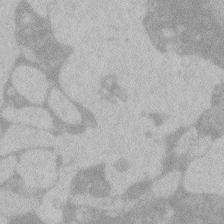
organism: Zebrafish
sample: Macrophage infected with Toxoplasma gondii